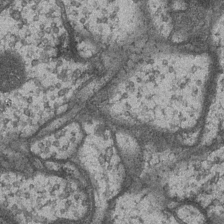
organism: Drosophila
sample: Optic medulla